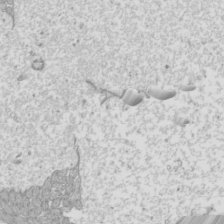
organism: Mouse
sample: Cilia; mouse epididymis